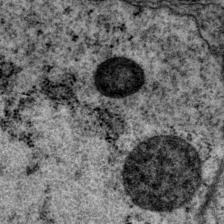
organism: P. pacificus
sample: Pharynx